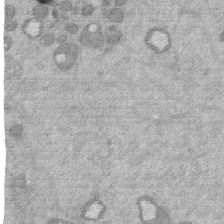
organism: Mouse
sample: Dividing mouse embryo 1 cell stage